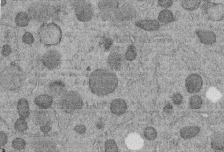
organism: C. elegans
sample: C. elegans embryo early stage